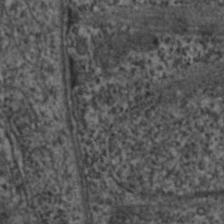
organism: C. elegans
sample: Pharynx